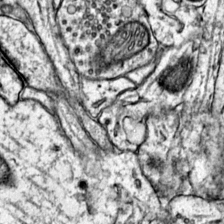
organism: Mouse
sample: Primary visual cortex